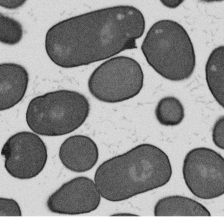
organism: B. subtilis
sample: Bacterial spore